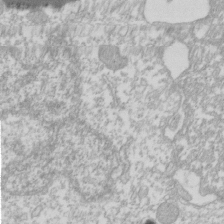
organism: Xenopus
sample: Cilia; centrioles in frog embryo cells